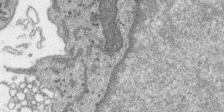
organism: Human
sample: Lung epithelial cells infected with SARS-CoV-2